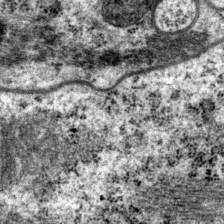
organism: P. pacificus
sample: Pharynx